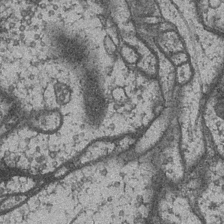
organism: Drosophila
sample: Optic medulla